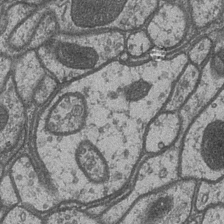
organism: Drosophila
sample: Optic medulla